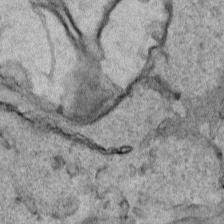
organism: Human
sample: Mitochondria in HCT116 cells